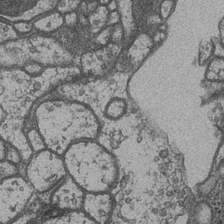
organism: Drosophila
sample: Optic medulla